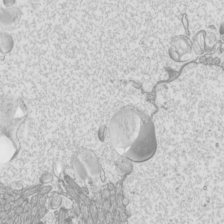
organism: Mouse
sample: Cilia; mouse epididymis